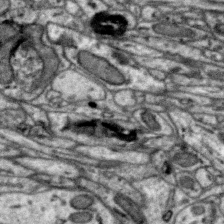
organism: Zebra finch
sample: Brain